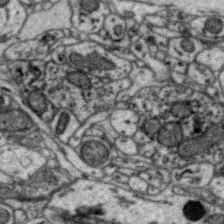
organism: Zebra finch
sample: Brain